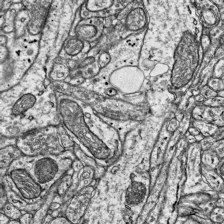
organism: Mouse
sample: Visual Cortex